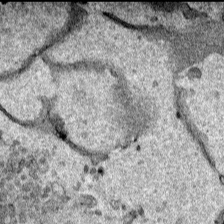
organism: Human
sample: Mitochondria in HCT116 cells